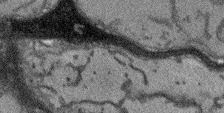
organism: Arabidopsis thaliana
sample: Root tip